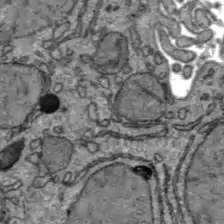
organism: C57BL Mouse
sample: Liver